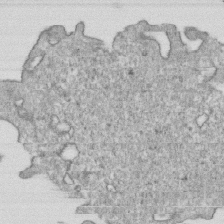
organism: Mouse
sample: Activated OT-1 CD8+ T cells